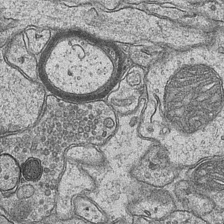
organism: Mouse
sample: CA1 Hippocampus